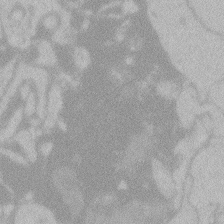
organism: Zebrafish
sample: Macrophage infected with Toxoplasma gondii